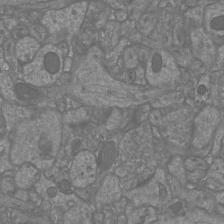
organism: Mouse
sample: Cortical neurons